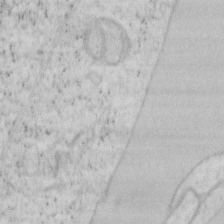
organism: Human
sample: HeLa cells